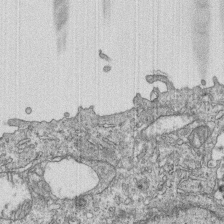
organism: Human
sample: HeLa cell HIV synapse